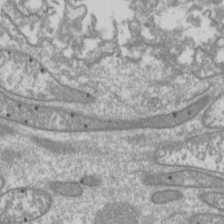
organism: Drosophila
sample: Cell division; meiosis; drosophila spermatocytes